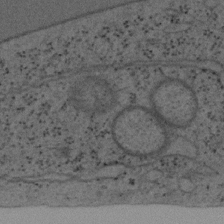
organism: Human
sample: HeLa cells